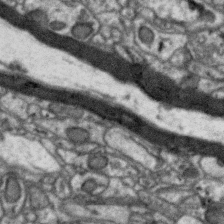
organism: Zebra finch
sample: Brain